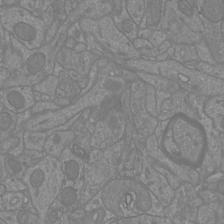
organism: Mouse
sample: Cortical neurons